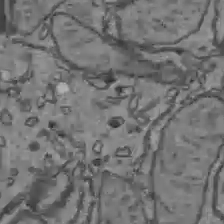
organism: C57BL Mouse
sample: Liver